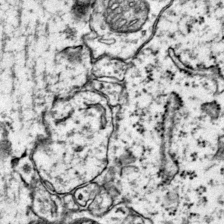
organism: Mouse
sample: Primary visual cortex